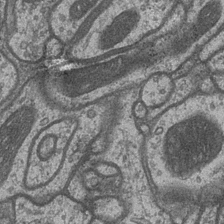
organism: Drosophila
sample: Optic medulla